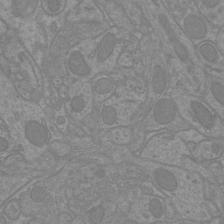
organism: Mouse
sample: Cortical neurons